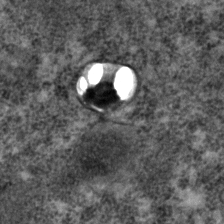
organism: C. elegans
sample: C. elegans embryo